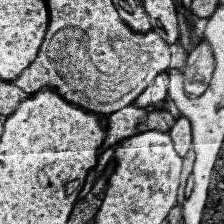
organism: Human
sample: Temporal Lobe